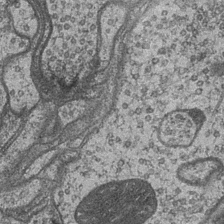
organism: Drosophila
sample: Optic medulla